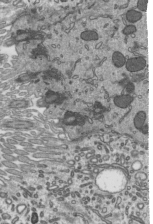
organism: Mouse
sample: Mouse epididymis efferent ductule cilia